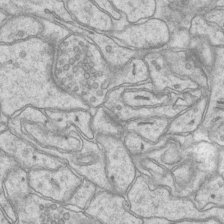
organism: Mouse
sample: CA1 Hippocampus